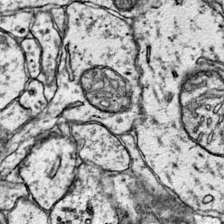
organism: Mouse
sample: Primary visual cortex